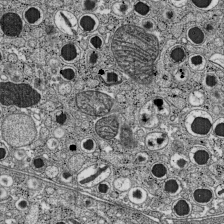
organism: C57BL Mouse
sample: Pancreatic islet